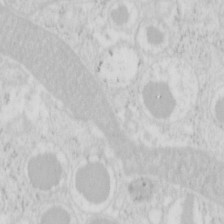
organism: Mouse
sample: Pancreas